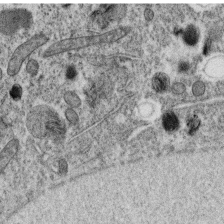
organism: C. elegans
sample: C. elegans oocyte; sperm cells